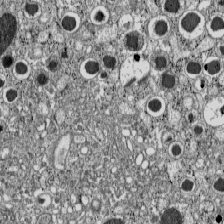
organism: C57BL Mouse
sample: Pancreatic islet